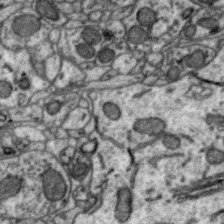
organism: Zebra finch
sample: Brain